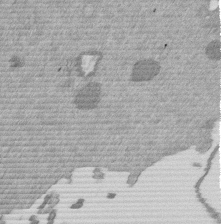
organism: Mouse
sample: Dividing mouse embryo 1 cell stage